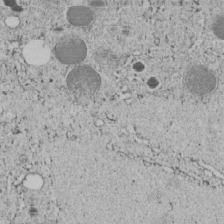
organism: C. elegans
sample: C. elegans embryo early stage